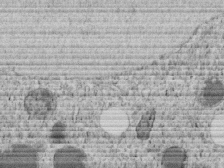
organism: C. elegans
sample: C. elegans embryo early stage